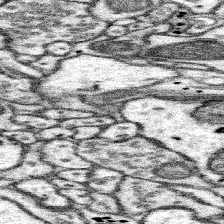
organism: Mouse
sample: Somatosensory cortex neuropil